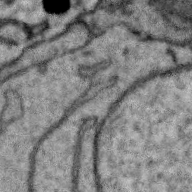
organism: Zebra finch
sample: Brain